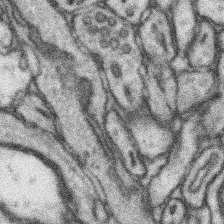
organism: Mouse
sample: Somatosensory cortex neuropil